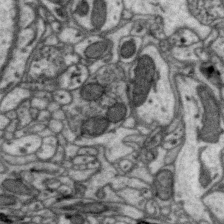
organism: Zebra finch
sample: Brain